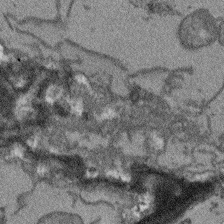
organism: Arabidopsis thaliana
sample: Root tip